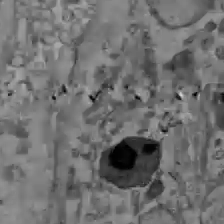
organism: C57BL Mouse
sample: Liver